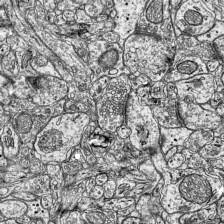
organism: Mouse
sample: Visual Cortex